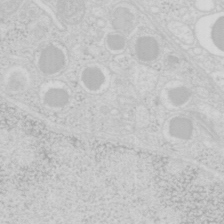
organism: Mouse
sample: Pancreas